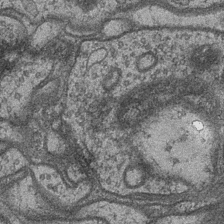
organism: Drosophila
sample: Optic medulla